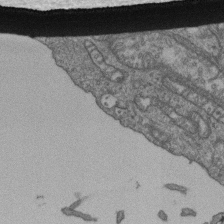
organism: Human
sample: Retinal organoid Rod and Cone cells